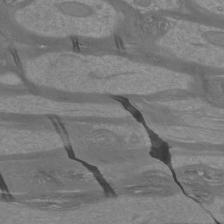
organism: Mouse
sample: Cortical neurons